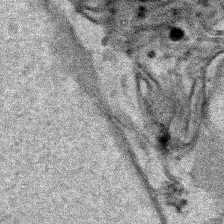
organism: Human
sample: Mitochondria in HCT116 cells